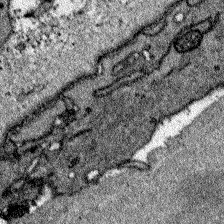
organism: Zebrafish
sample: Larval olfactory bulb